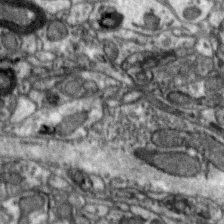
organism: Zebra finch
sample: Brain